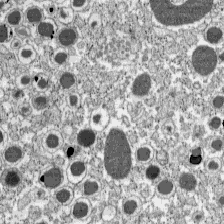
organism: C57BL Mouse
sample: Pancreatic islet